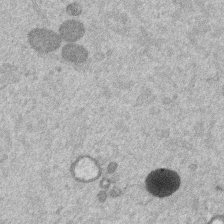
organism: Mouse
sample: Dividing mouse embryo 1 cell stage